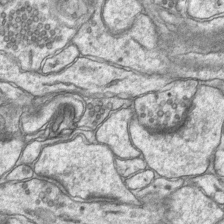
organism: Mouse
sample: CA1 Hippocampus